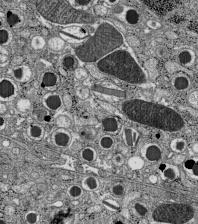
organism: C57BL Mouse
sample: Pancreatic islet